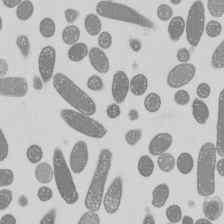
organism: E. coli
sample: Bacterial nucleoid